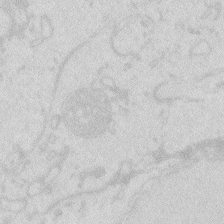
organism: Zebrafish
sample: Macrophage